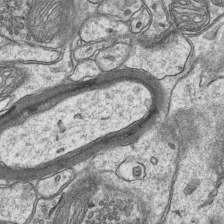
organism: Mouse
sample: CA1 Hippocampus